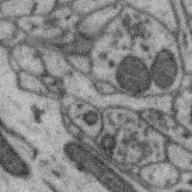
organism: Zebra finch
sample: Brain